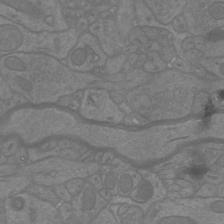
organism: Mouse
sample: Cortical neurons